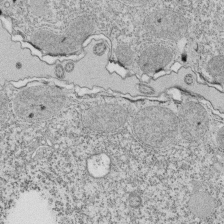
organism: Tetrahymena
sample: Cilia in tetrahymena